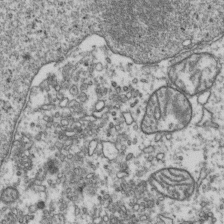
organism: Human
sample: Activated Jurkat CD4+ T cells